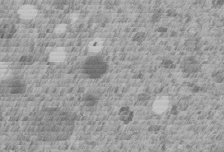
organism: C. elegans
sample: C. elegans embryo early stage